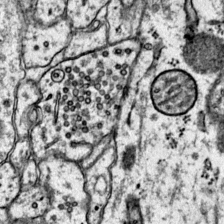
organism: Mouse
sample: Primary visual cortex